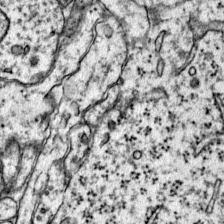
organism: Mouse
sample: Primary visual cortex